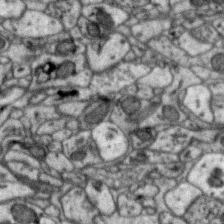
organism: Zebra finch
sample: Brain